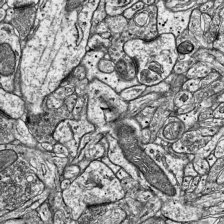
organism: Mouse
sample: Visual Cortex